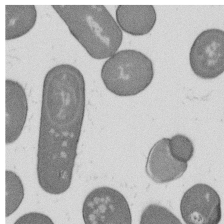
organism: B. subtilis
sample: Bacterial spore